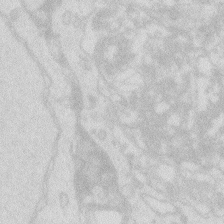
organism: Zebrafish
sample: Macrophage